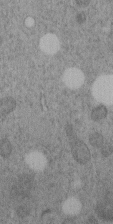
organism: C. elegans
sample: C. elegans embryo early stage